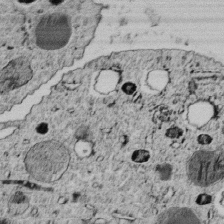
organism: C. elegans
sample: C. elegans embryo early stage